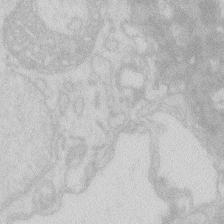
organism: Zebrafish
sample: Macrophage